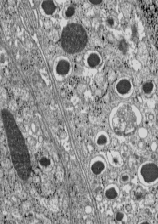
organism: C57BL Mouse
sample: Pancreatic islet